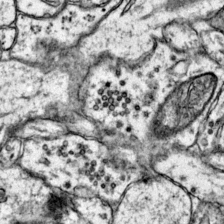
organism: Mouse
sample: Primary visual cortex